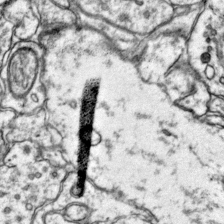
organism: Mouse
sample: Primary visual cortex